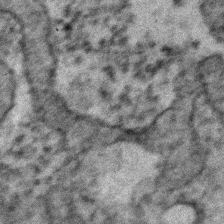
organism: Zebrafish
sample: Zebrafish embryo